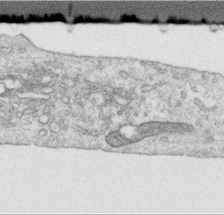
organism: Human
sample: Centriole in RPE cells